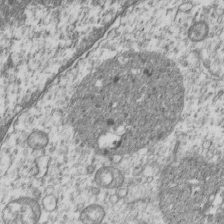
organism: Human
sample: MDA-MB-231 cells